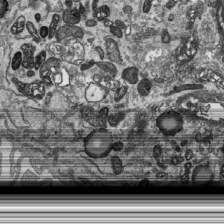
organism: Human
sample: Mitochondria in HCT116 cells